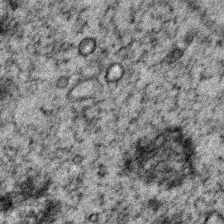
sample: Trachea